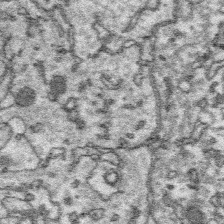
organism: Platynereis dumerilii